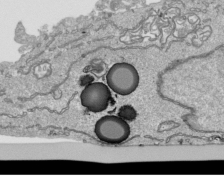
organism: Human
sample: Mitochondria in HCT116 cells